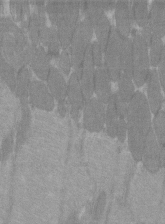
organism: C57BL Mouse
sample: Tibialis anterior muscle cell